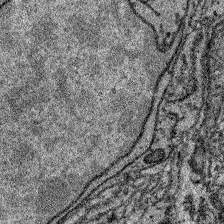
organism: Zebrafish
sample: Larval olfactory bulb